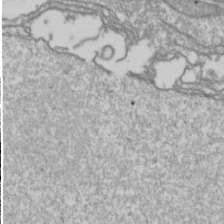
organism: Drosophila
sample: Cell division; meiosis; drosophila spermatocytes